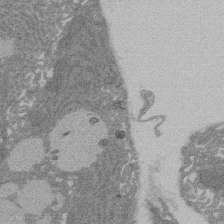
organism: Rat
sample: Salivary granule